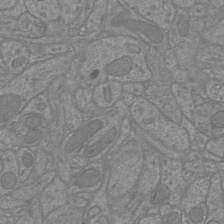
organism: Mouse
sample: Cortical neurons